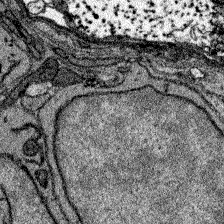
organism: Zebrafish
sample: Larval olfactory bulb